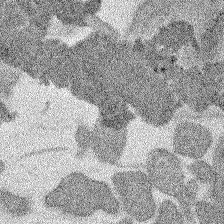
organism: Human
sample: HeLa cells